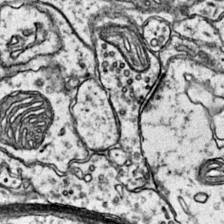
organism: Mouse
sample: Primary visual cortex